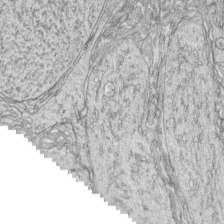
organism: Zebrafish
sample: synaptic ribbons in rod cells and cone cells